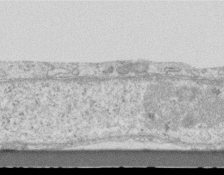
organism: Mouse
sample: Centriole in ependymal cells